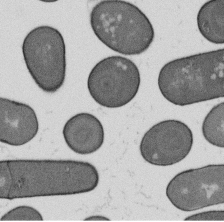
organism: B. subtilis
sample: Bacterial spore